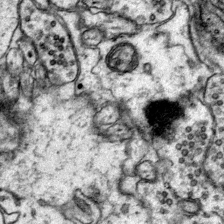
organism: Mouse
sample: Primary visual cortex